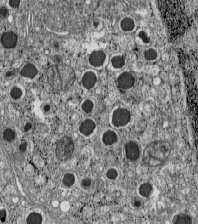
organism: C57BL Mouse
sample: Pancreatic islet